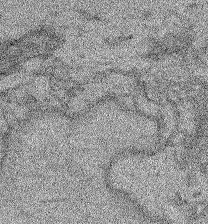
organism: Human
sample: HeLa cells